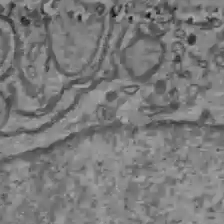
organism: C57BL Mouse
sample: Liver